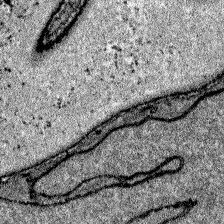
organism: Zebrafish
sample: Larval olfactory bulb